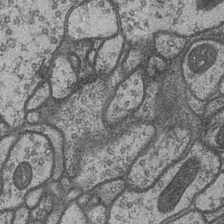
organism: Drosophila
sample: Optic medulla